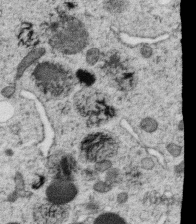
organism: C. elegans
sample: C. elegans oocyte; sperm cells